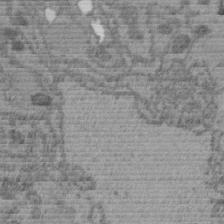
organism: C. elegans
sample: C. elegans embryo early stage